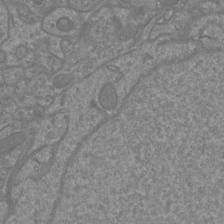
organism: Mouse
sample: Cortical neurons